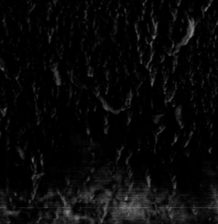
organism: Toxoplasma gondii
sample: Parasites in a vacuole inside a host cell